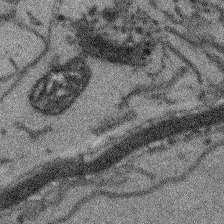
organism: Arabidopsis thaliana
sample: Root tip